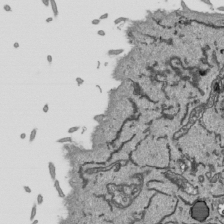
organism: Human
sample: Mitochondria in HCT116 cells